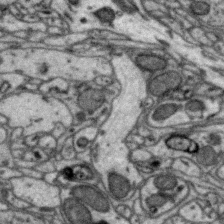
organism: Zebra finch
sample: Brain